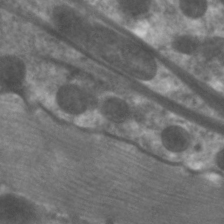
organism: C. elegans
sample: Pharynx